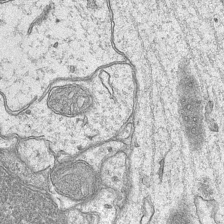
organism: Mouse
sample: CA1 Hippocampus